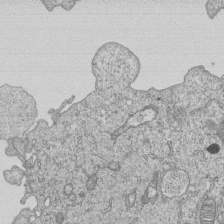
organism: Human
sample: MDA-MB-231 cells